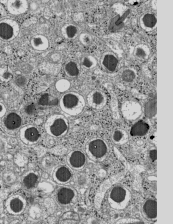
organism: C57BL Mouse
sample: Pancreatic islet